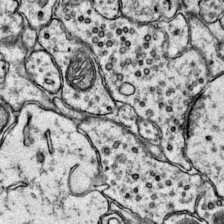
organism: Mouse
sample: Primary visual cortex